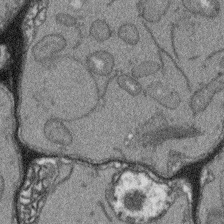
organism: Arabidopsis thaliana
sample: Root tip